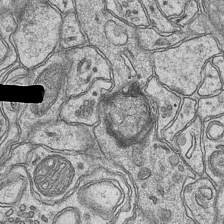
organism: Mouse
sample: CA1 Hippocampus